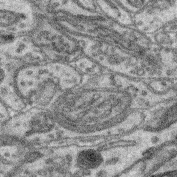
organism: Mouse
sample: Retina